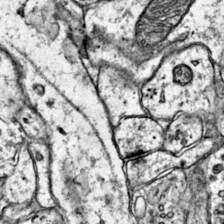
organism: Mouse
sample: Primary visual cortex